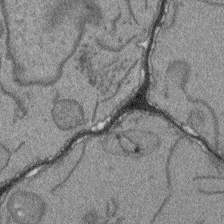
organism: Arabidopsis thaliana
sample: Root tip